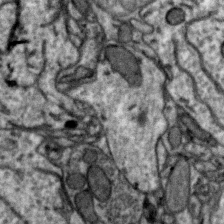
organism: Zebra finch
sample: Brain